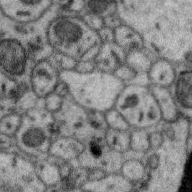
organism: Zebra finch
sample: Brain